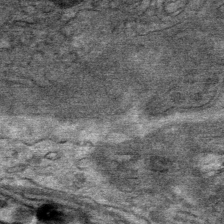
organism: Mouse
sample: Mouse Salivary gland